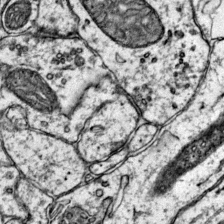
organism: Mouse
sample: Primary visual cortex